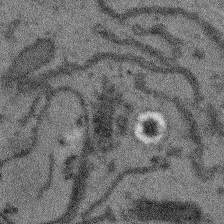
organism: Arabidopsis thaliana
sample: Root tip